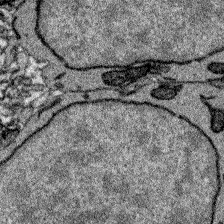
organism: Zebrafish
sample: Larval olfactory bulb